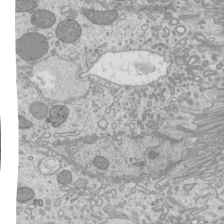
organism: Mouse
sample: Cilia; mouse epididymis